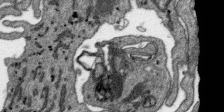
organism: Human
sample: Lung epithelial cells, uninfected (mock) control